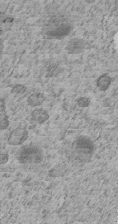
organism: C. elegans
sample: C. elegans embryo early stage